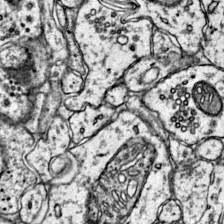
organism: Mouse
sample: Primary visual cortex